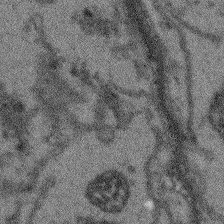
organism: Arabidopsis thaliana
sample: Root tip